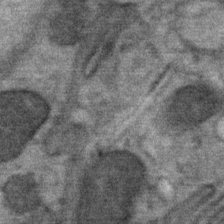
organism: Mouse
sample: Mouse Salivary gland